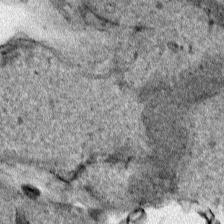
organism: Human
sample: Mitochondria in HCT116 cells